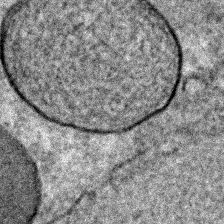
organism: C. elegans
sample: C. elegans embryo